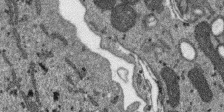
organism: Human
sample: Lung epithelial cells infected with SARS-CoV-2